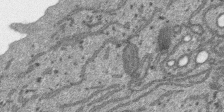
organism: Human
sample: Lung epithelial cells infected with SARS-CoV-2